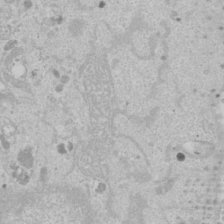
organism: Human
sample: Mitochondria in U2OS cells